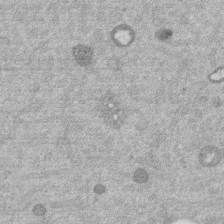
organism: Mouse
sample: Dividing mouse embryo 1 cell stage